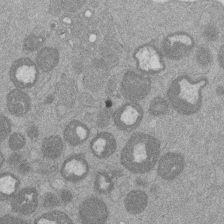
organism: Mouse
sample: Dividing mouse embryo 1 cell stage